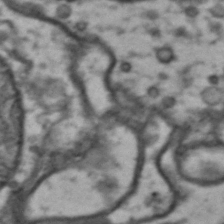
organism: Drosophila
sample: Brain